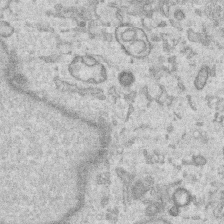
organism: Human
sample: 1205lu cells